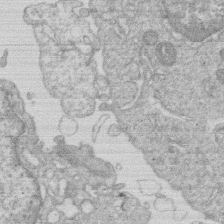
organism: Human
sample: Macrophage cells